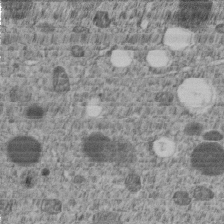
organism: C. elegans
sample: C. elegans embryo early stage